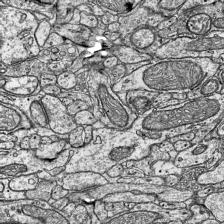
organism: Mouse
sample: Visual Cortex